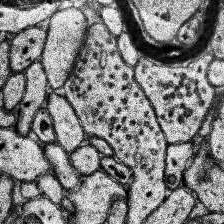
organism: Human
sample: Temporal Lobe